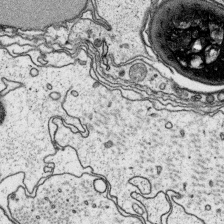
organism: Platynereis dumerilii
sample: Parapodia